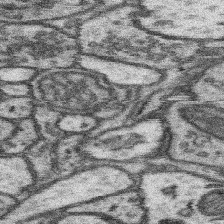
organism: Mouse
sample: Somatosensory cortex neuropil